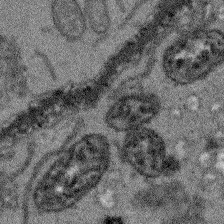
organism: Arabidopsis thaliana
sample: Root tip